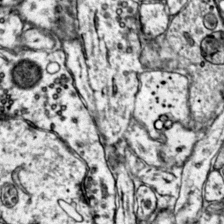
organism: Mouse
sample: Primary visual cortex